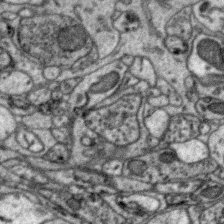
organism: Zebra finch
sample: Brain